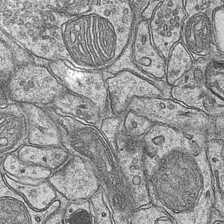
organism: Mouse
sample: CA1 Hippocampus